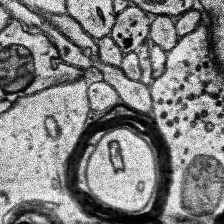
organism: Human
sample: Temporal Lobe